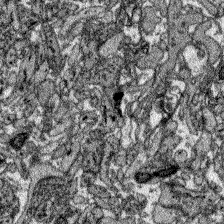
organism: Zebrafish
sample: Larval olfactory bulb